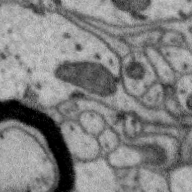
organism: Zebra finch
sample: Brain